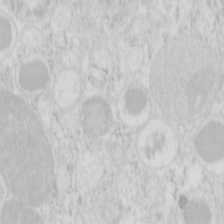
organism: Mouse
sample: Pancreas